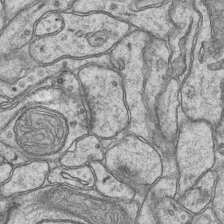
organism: Mouse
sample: CA1 Hippocampus